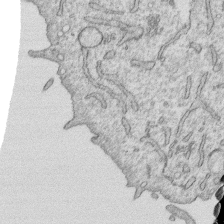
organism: Human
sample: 1205lu cells